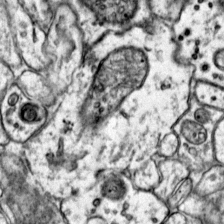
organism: Mouse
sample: Primary visual cortex